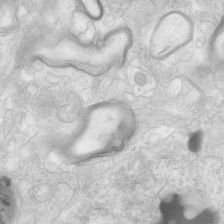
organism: Human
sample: Neocortex